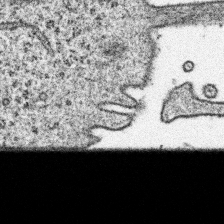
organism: Human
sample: HeLa cells